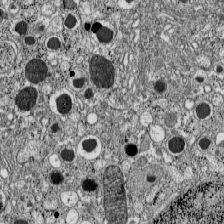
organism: C57BL Mouse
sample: Pancreatic islet